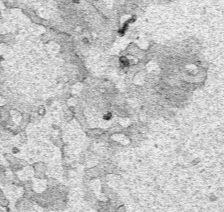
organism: Human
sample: Mitochondria in HCT116 cells